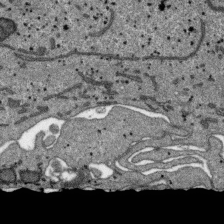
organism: Human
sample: Lung epithelial cells, uninfected (mock) control